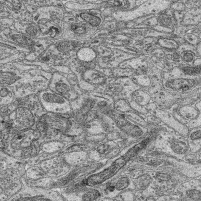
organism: Mouse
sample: Retina